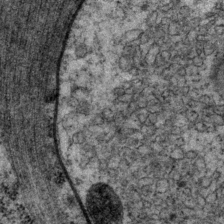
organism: P. pacificus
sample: Pharynx